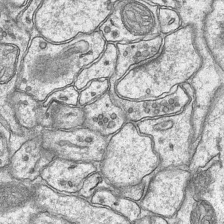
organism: Mouse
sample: CA1 Hippocampus